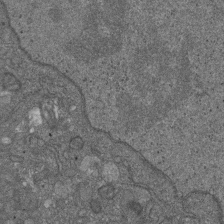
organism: Drosophila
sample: Nephrocyte